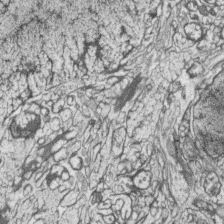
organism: Zebrafish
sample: synaptic ribbons in rod cells and cone cells